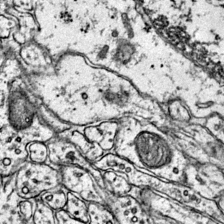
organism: Mouse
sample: Primary visual cortex